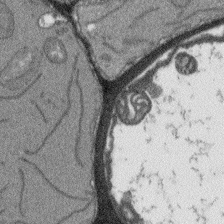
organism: Arabidopsis thaliana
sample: Root tip